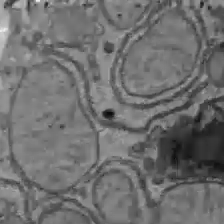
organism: C57BL Mouse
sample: Liver